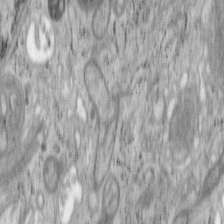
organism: Human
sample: HeLa cells